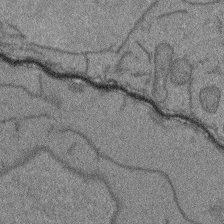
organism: Arabidopsis thaliana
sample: Root tip